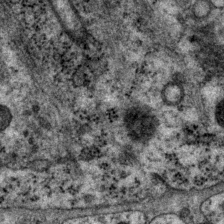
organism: P. pacificus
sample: Pharynx